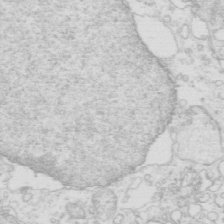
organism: Mouse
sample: Multiciliated cells